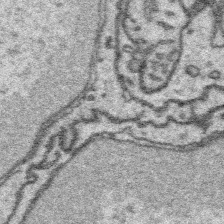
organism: Platynereis dumerilii